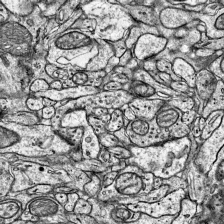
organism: Mouse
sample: Visual Cortex